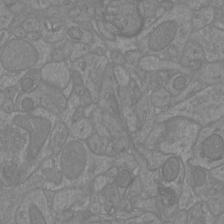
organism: Mouse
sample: Cortical neurons